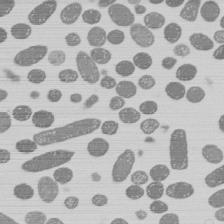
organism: E. coli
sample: Bacterial nucleoid